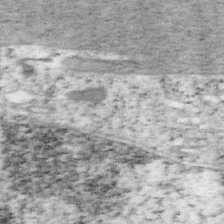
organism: Mouse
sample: OT-I killer T cells with ID8 ovarian cancer cells